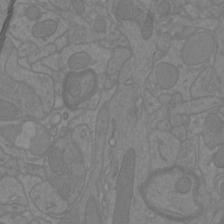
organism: Mouse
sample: Cortical neurons